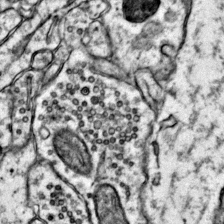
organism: Mouse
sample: Primary visual cortex